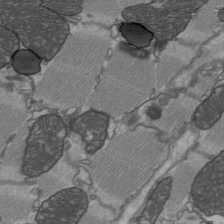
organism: C57BL Mouse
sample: Heart